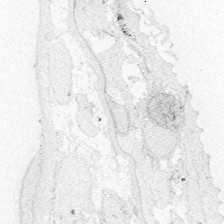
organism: Zebrafish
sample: Whole-Brain